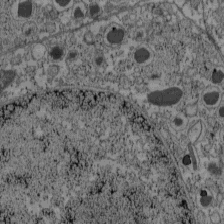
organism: C57BL Mouse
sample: Pancreatic islet